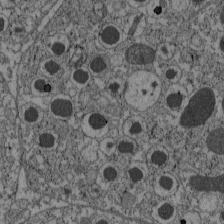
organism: C57BL Mouse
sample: Pancreatic islet